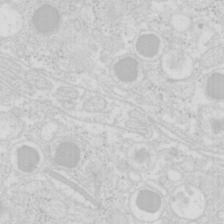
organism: Mouse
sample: Pancreas